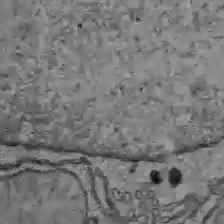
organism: C57BL Mouse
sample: Liver